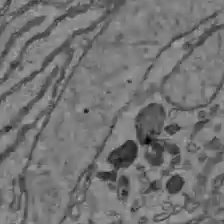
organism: C57BL Mouse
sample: Liver